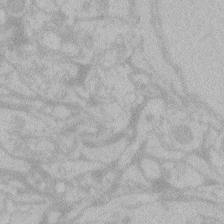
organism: Zebrafish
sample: Macrophage infected with Toxoplasma gondii